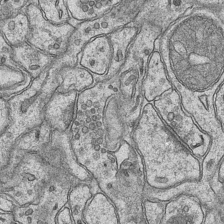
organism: Mouse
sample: CA1 Hippocampus